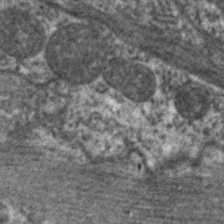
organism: C. elegans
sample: Pharynx